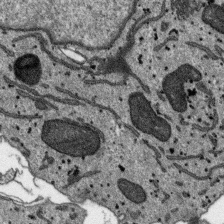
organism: Human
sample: Lung epithelial cells, uninfected (mock) control